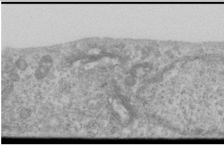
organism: Human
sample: Cilia; basal body in RPE cells